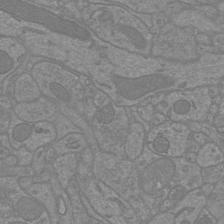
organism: Mouse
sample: Cortical neurons